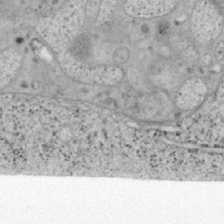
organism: Mouse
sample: OT-I killer T cells with ID8 ovarian cancer cells